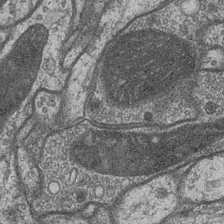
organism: Drosophila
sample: Optic medulla